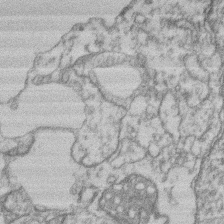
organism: Mouse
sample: T cell stromal cell synapse